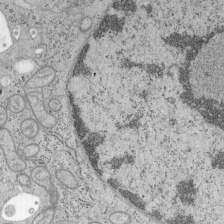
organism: Mouse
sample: OT-I killer T cells with ID8 ovarian cancer cells